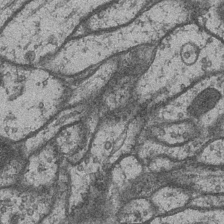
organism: Drosophila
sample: Optic medulla